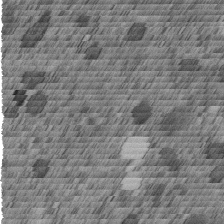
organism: C. elegans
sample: C. elegans embryo early stage